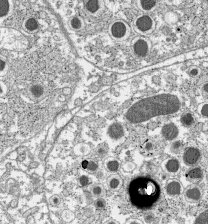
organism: C57BL Mouse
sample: Pancreatic islet